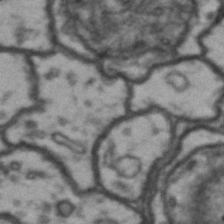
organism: Drosophila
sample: Brain